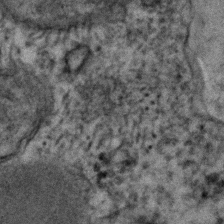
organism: Human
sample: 1205lu cells